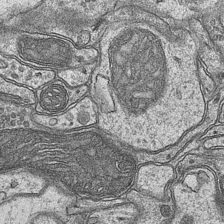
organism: Mouse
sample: CA1 Hippocampus